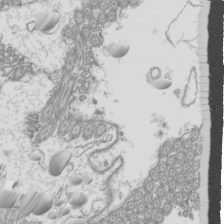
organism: Mouse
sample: Cilia; mouse epididymis